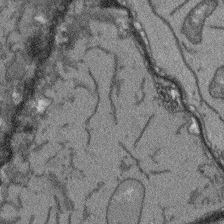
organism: Arabidopsis thaliana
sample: Root tip